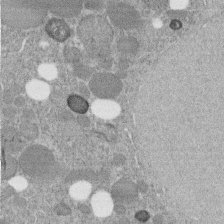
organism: C. elegans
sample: C. elegans embryo early stage